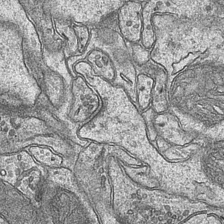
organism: Mouse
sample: CA1 Hippocampus